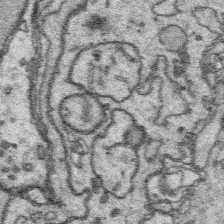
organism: Platynereis dumerilii